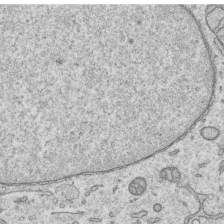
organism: Human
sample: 1205lu cells